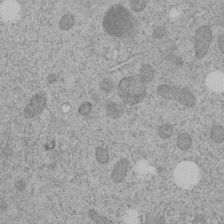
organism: C. elegans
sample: C. elegans embryo early stage